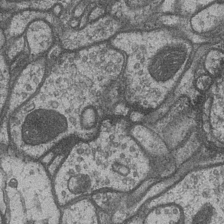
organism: Drosophila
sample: Optic medulla